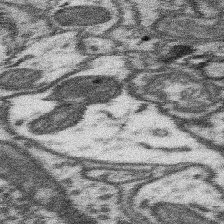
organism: Mouse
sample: Somatosensory cortex neuropil